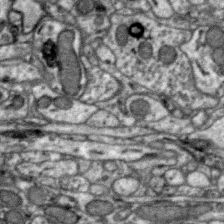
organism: Zebra finch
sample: Brain